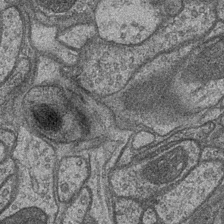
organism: Drosophila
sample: Optic medulla